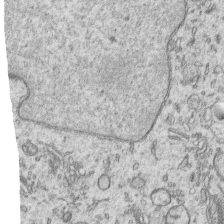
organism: Human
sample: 1205lu cells